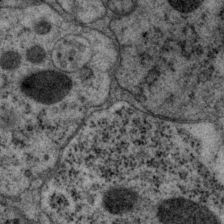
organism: P. pacificus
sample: Pharynx